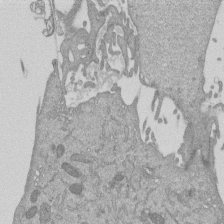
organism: Mouse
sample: ED-1 cell nuclei; centrioles